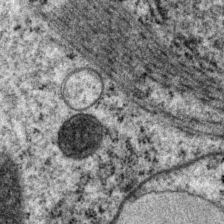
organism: P. pacificus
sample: Pharynx